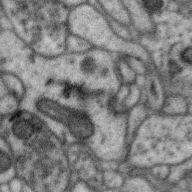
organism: Zebra finch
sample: Brain